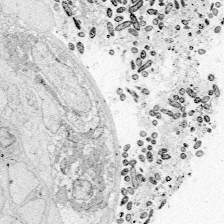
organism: Zebrafish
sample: Whole-Brain